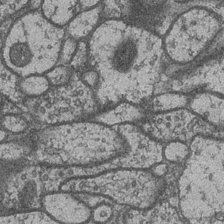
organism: Drosophila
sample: Optic medulla